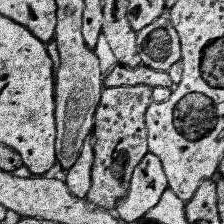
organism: Human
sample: Temporal Lobe